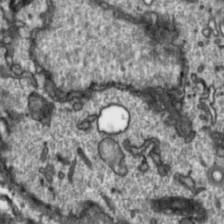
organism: Toxoplasma gondii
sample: Parasites in a vacuole inside a host cell